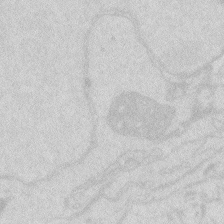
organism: Zebrafish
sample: Macrophage